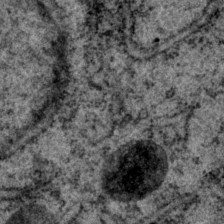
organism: P. pacificus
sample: Pharynx